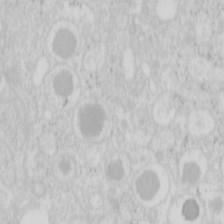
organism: Mouse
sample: Pancreas